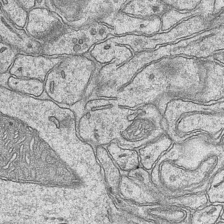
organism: Mouse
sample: CA1 Hippocampus